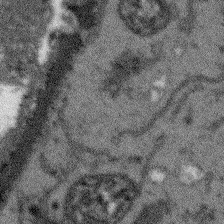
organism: Arabidopsis thaliana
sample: Root tip